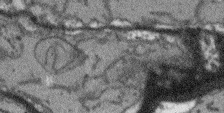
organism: Arabidopsis thaliana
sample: Root tip